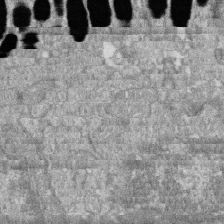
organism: Zebrafish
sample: Cilia; retinal pigment epithelium